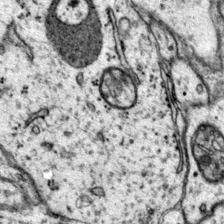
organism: Mouse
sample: Primary visual cortex